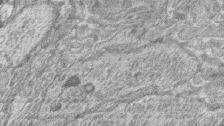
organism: Zebrafish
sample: synaptic ribbons in rod cells and cone cells